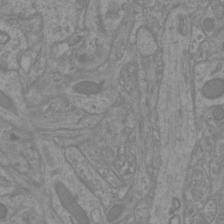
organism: Mouse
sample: Cortical neurons